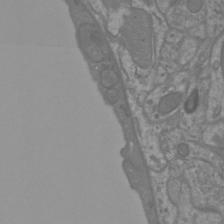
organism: Mouse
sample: Cortical neurons